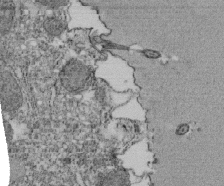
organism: Tetrahymena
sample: Cilia in tetrahymena